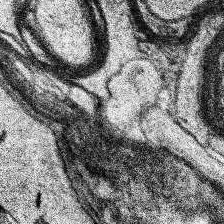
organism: Human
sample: Temporal Lobe